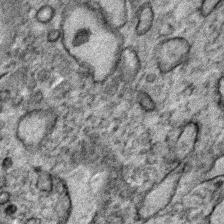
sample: Trachea